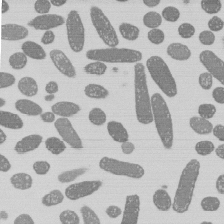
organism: E. coli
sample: Bacterial nucleoid